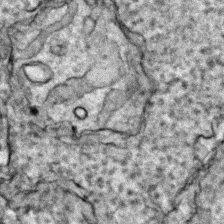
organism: Zebrafish